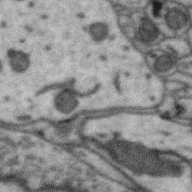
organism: Zebra finch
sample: Brain